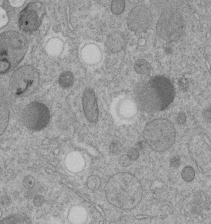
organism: C. elegans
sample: C. elegans embryo early stage